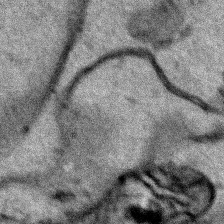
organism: Human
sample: Mitochondria in HCT116 cells